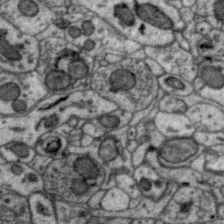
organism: Zebra finch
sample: Brain